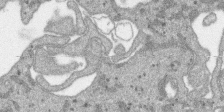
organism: Human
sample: Lung epithelial cells infected with SARS-CoV-2